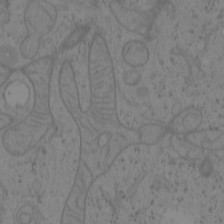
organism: Human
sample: HeLa cells